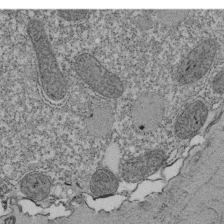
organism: Tetrahymena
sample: Cilia in tetrahymena